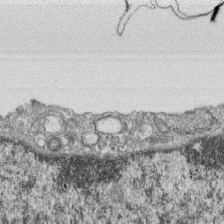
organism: African green monkey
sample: Vero E6 cells infected with SARS-CoV-2